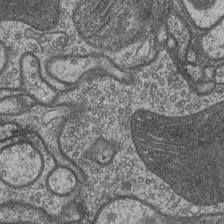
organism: Drosophila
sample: Optic medulla